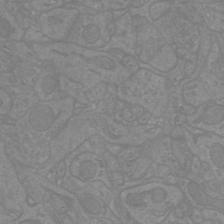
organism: Mouse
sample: Cortical neurons